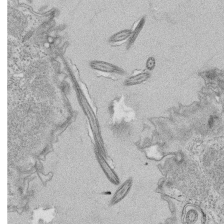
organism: Tetrahymena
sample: Cilia in tetrahymena